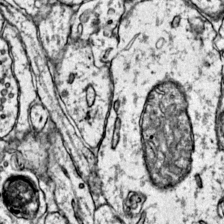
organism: Mouse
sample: Primary visual cortex